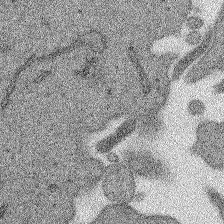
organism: Human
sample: HeLa cells